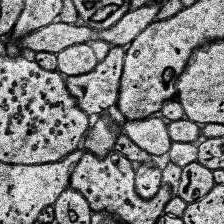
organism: Human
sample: Temporal Lobe